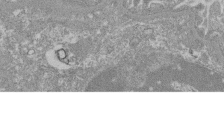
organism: Mouse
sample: Glomerulus